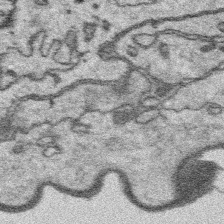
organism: Platynereis dumerilii